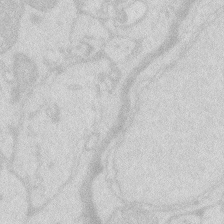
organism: Zebrafish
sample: Macrophage